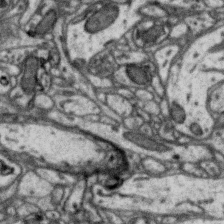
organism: Zebra finch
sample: Brain